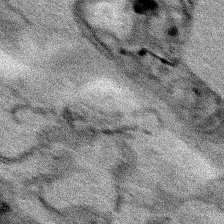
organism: Human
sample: Mitochondria in HCT116 cells